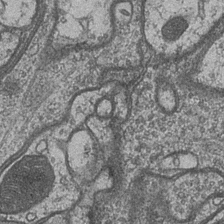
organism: Drosophila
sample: Optic medulla